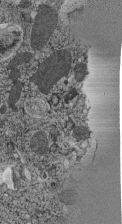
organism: C. elegans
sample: C. elegans pharynx